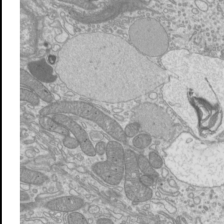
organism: Mouse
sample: Cilia; mouse epididymis